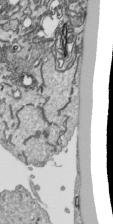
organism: Human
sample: Mitochondria in HCT116 cells